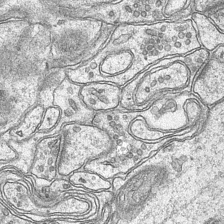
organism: Mouse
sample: CA1 Hippocampus